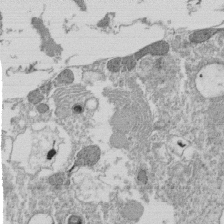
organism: Tetrahymena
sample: Cilia in tetrahymena